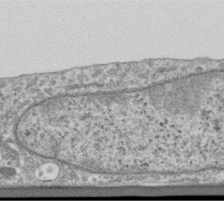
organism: Human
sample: Centriole in RPE cells